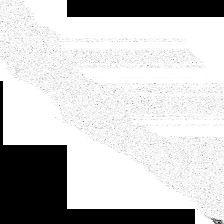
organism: Spongilla lacustris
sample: Neuroid cell